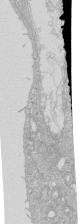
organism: Human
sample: Caco-2 cells